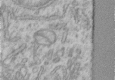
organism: Human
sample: Centriole in RPE cells